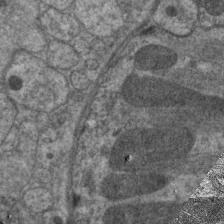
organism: C. elegans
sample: Pharynx